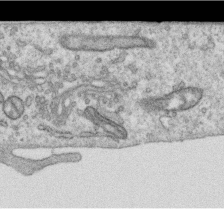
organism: Human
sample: Centriole in RPE cells